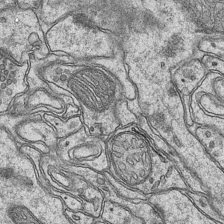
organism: Mouse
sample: CA1 Hippocampus